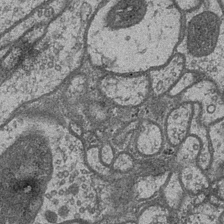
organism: Drosophila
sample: Optic medulla